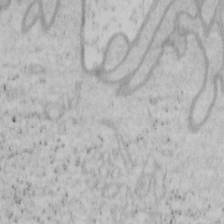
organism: Human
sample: HeLa cells